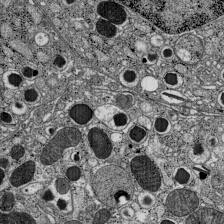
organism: C57BL Mouse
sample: Pancreatic islet